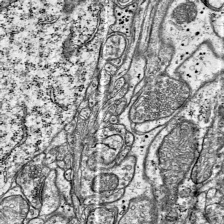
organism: Mouse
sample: Visual Cortex